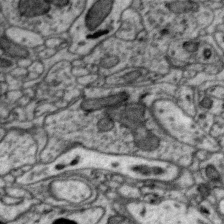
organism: Zebra finch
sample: Brain